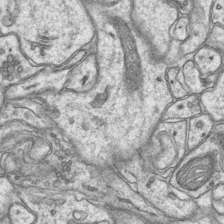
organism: Mouse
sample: CA1 Hippocampus